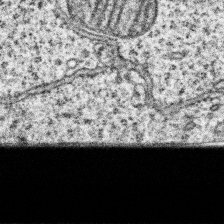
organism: Human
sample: HeLa cells